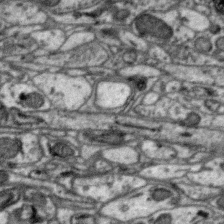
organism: Zebra finch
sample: Brain